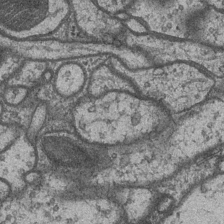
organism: Drosophila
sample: Optic medulla